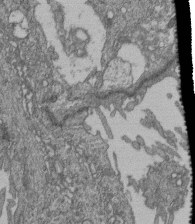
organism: Human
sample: Retinal organoid Rod and Cone cells